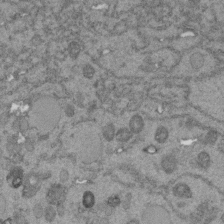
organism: C. elegans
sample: C. elegans embryo early stage